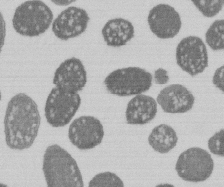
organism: E. coli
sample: Bacterial nucleoid